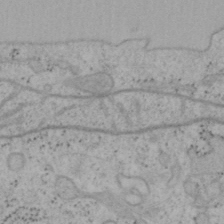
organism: Human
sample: HeLa cells